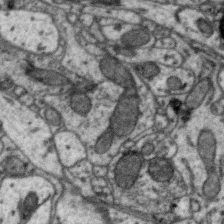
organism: Zebra finch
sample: Brain